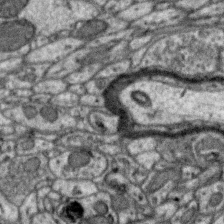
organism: Zebra finch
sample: Brain